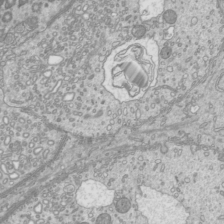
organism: Mouse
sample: Cilia; mouse epididymis